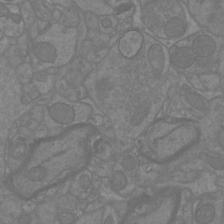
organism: Mouse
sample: Cortical neurons